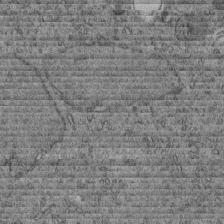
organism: C. elegans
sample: C. elegans embryo early stage